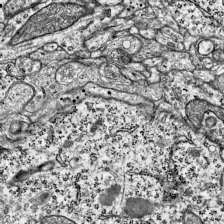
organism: Mouse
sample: Visual Cortex